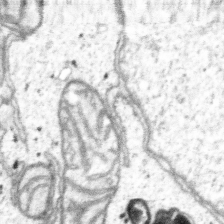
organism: Human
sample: HeLa cells